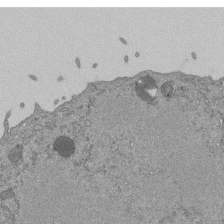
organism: Mouse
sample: ED-1 cell nuclei; centrioles